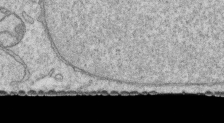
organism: Human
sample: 1205lu cells